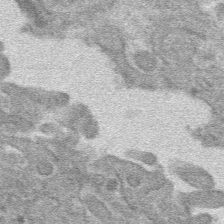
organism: Mouse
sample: Mouse hepatocytes